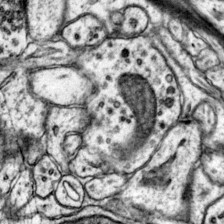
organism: Mouse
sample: Primary visual cortex